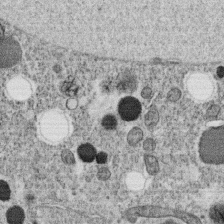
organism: C. elegans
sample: C. elegans oocyte; sperm cells